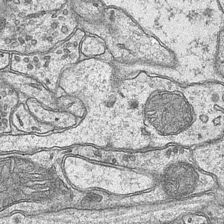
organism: Mouse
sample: CA1 Hippocampus